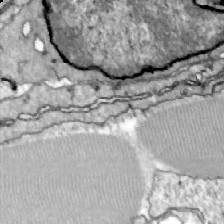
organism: Zebrafish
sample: Actinotrichia fibers